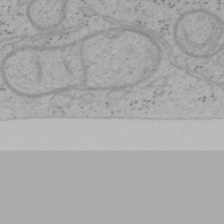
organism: Human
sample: HeLa cells